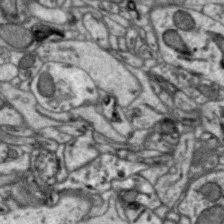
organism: Zebra finch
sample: Brain